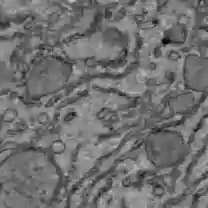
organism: C57BL Mouse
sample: Liver